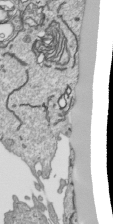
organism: Human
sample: Mitochondria in HCT116 cells